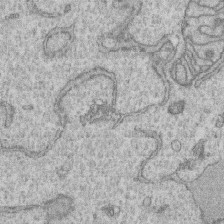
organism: Human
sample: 1205lu cells